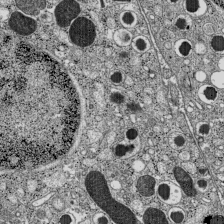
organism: C57BL Mouse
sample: Pancreatic islet